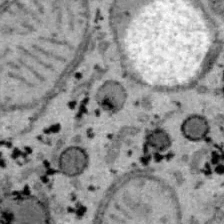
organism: Mouse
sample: Liver from an obese (ob/ob) mouse